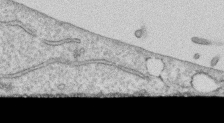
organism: Human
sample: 1205lu cells